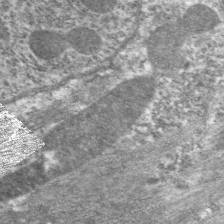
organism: C. elegans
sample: Pharynx